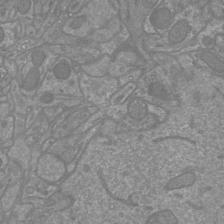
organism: Mouse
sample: Cortical neurons